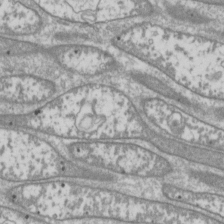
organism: Drosophila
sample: Cell division; meiosis; drosophila spermatocytes